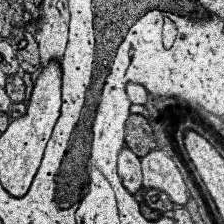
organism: Human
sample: Temporal Lobe